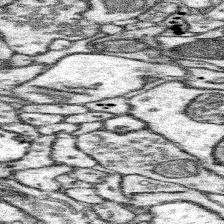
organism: Mouse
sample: Somatosensory cortex neuropil